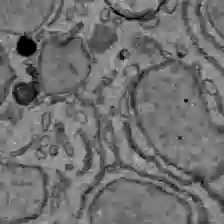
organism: C57BL Mouse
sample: Liver